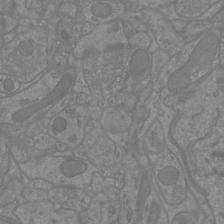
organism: Mouse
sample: Cortical neurons